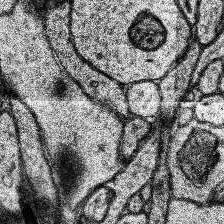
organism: Human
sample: Temporal Lobe